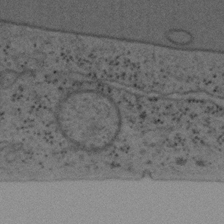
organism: Human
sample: HeLa cells